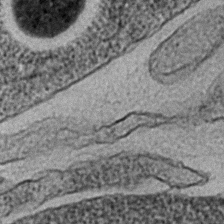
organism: C. elegans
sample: C. elegans embryo